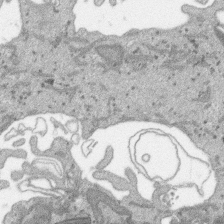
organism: Human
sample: Lung epithelial cells infected with SARS-CoV-2